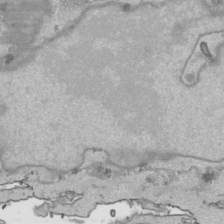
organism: Human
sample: Mitochondria in HCT116 cells